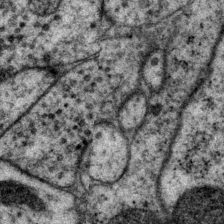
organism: P. pacificus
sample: Pharynx